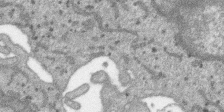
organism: Human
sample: Lung epithelial cells infected with SARS-CoV-2